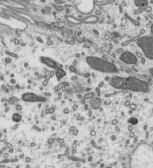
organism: Mouse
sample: Mouse epididymis efferent ductule cilia